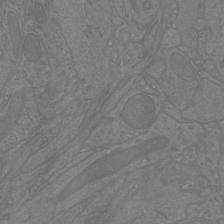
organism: Mouse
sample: Cortical neurons